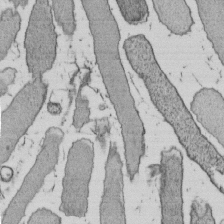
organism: E. coli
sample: Bacterial nucleoid